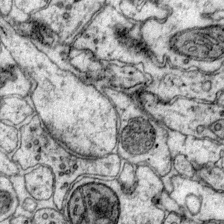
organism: Mouse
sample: Primary visual cortex